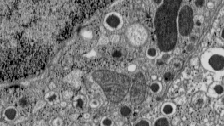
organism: C57BL Mouse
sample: Pancreatic islet